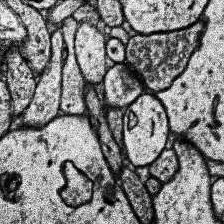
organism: Human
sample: Temporal Lobe